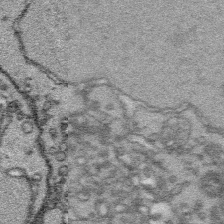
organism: Platynereis dumerilii